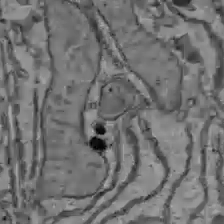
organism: C57BL Mouse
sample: Liver